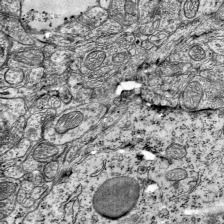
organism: Mouse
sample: Visual Cortex